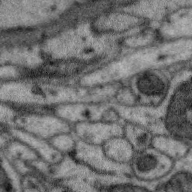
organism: Zebra finch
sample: Brain